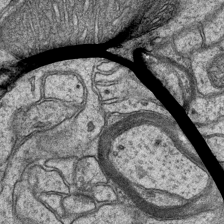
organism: Mouse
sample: CA1 Hippocampus